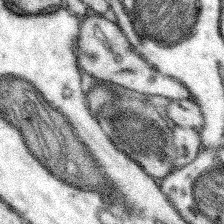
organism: Mouse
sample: Somatosensory cortex neuropil